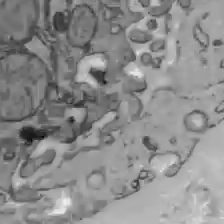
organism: C57BL Mouse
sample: Liver